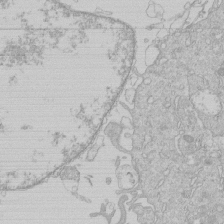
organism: Human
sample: Macrophage cells